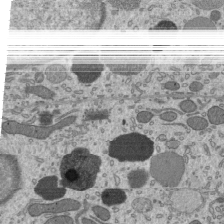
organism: Mouse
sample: Mouse epididymis efferent ductule cilia